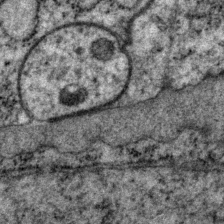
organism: P. pacificus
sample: Pharynx